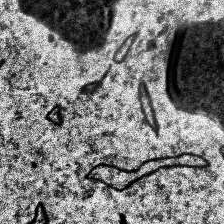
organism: Human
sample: Temporal Lobe